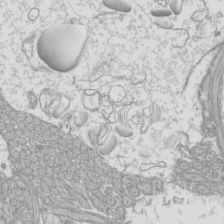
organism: Mouse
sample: Cilia; mouse epididymis